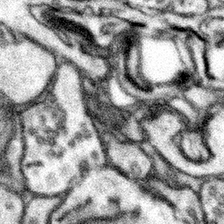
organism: Mouse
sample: Somatosensory cortex neuropil